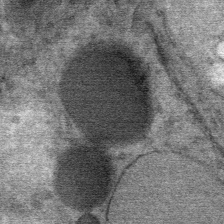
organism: Mouse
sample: Mouse Salivary gland